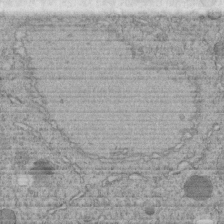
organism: C. elegans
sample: C. elegans embryo early stage